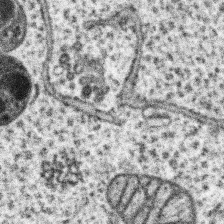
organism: Human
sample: HeLa cells